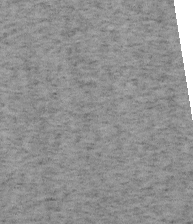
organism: Mouse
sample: OT-I killer T cells with ID8 ovarian cancer cells